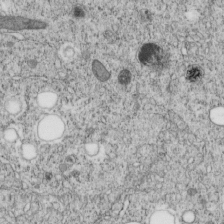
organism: C. elegans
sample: C. elegans embryo early stage